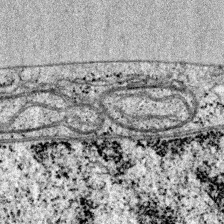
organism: Human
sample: HeLa cells